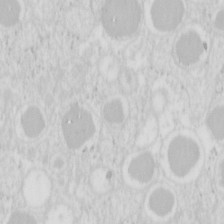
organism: Mouse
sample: Pancreas